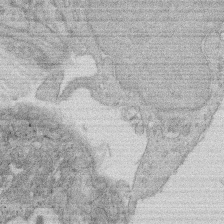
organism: Rat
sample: Salivary granule